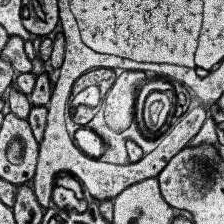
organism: Human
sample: Temporal Lobe